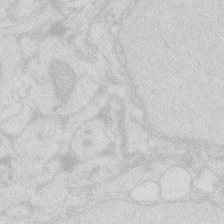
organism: Zebrafish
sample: Macrophage